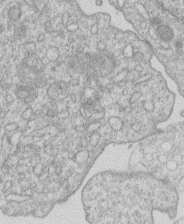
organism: Human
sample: Macrophage cells